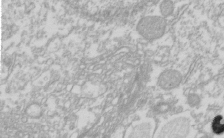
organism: Xenopus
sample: Cilia; centrioles in frog embryo cells